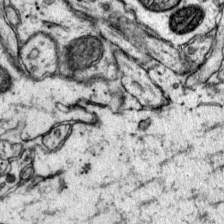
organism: Mouse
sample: Primary visual cortex